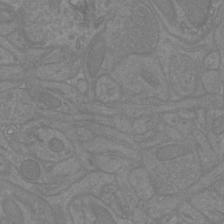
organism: Mouse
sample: Cortical neurons